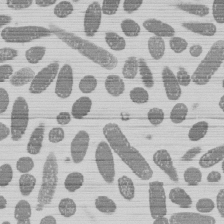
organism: E. coli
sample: Bacterial nucleoid